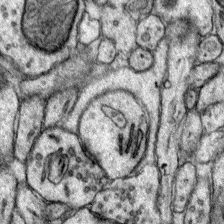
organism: Mouse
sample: Primary visual cortex